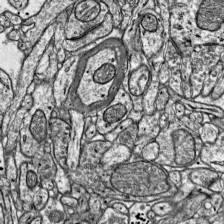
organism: Mouse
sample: Visual Cortex